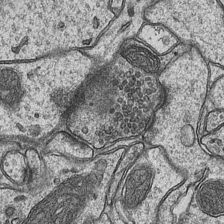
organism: Mouse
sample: CA1 Hippocampus